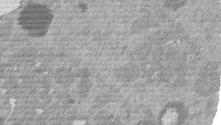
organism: Mouse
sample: Dividing mouse embryo 1 cell stage